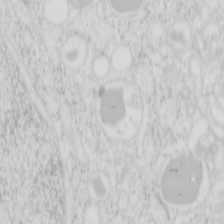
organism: Mouse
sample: Pancreas